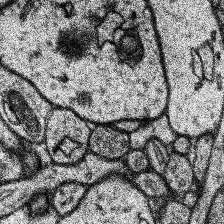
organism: Human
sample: Temporal Lobe